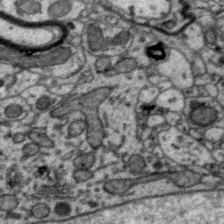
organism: Zebra finch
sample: Brain